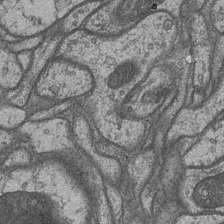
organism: Drosophila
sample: Optic medulla